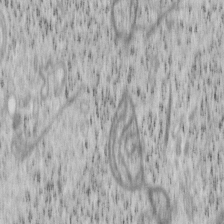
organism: Human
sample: HeLa cells